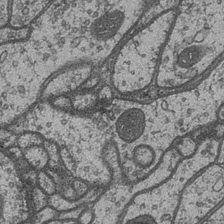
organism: Drosophila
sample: Optic medulla